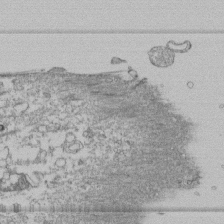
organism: Human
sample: Fibroblast cells